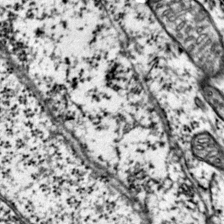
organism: Mouse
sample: Primary visual cortex